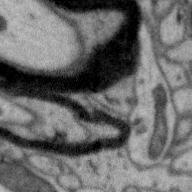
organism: Zebra finch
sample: Brain